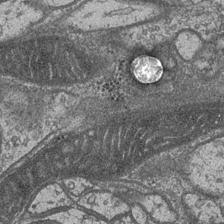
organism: Drosophila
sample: Optic medulla